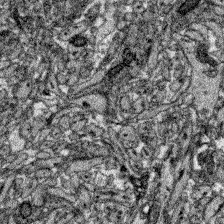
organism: Zebrafish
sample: Larval olfactory bulb